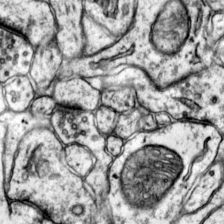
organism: Mouse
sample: Primary visual cortex